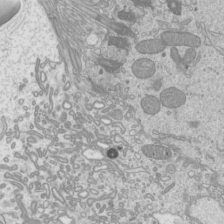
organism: Mouse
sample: Cilia; mouse epididymis